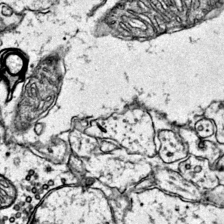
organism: Mouse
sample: Primary visual cortex